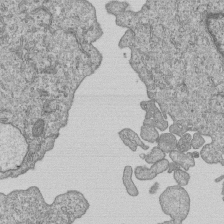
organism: Human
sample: MDA-MB-231 cells